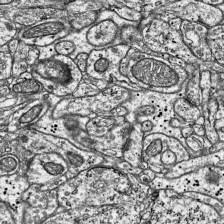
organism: Mouse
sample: Visual Cortex